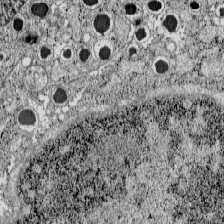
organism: C57BL Mouse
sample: Pancreatic islet